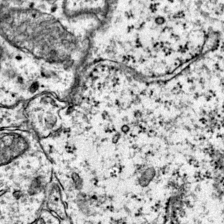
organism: Mouse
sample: Primary visual cortex